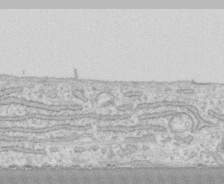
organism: Human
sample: CRL-1474